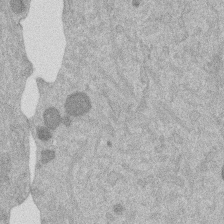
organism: Mouse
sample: Dividing mouse embryo 1 cell stage